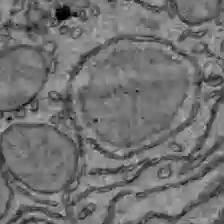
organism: C57BL Mouse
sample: Liver